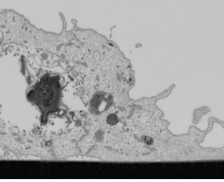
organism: Human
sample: Mitochondria in U2OS cells